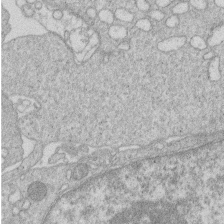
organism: Human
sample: Macrophage cells